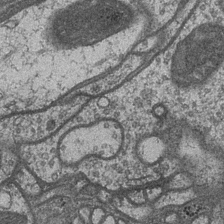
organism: Drosophila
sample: Optic medulla